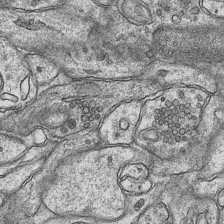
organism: Mouse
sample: CA1 Hippocampus